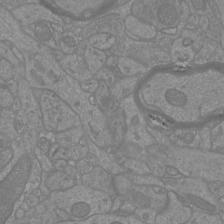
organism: Mouse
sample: Cortical neurons